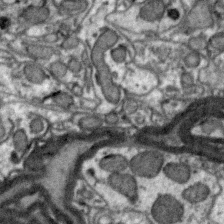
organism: Zebra finch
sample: Brain